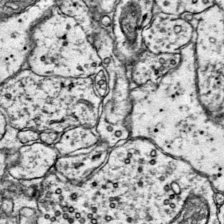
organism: Mouse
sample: Primary visual cortex